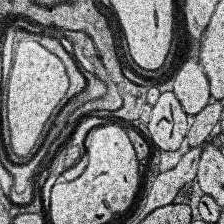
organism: Human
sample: Temporal Lobe